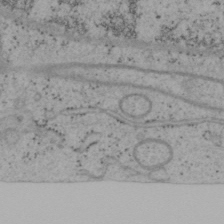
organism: Human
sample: HeLa cells